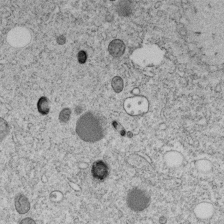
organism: C. elegans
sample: C. elegans embryo early stage